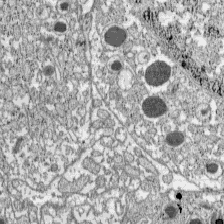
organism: C57BL Mouse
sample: Pancreatic islet